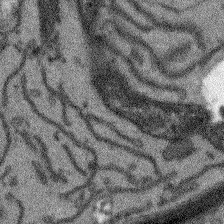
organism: Arabidopsis thaliana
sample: Root tip